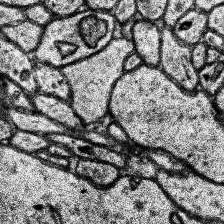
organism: Human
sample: Temporal Lobe